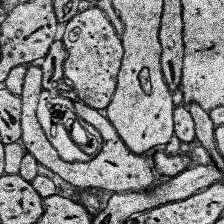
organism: Human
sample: Temporal Lobe